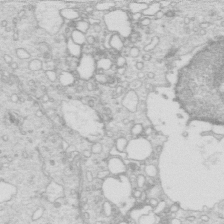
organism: Mouse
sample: Multiciliated cells